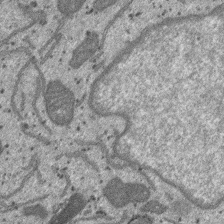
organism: Human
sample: Lung epithelial cells infected with SARS-CoV-2